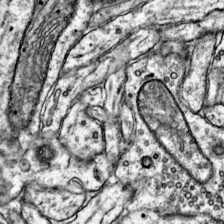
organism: Mouse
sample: Primary visual cortex